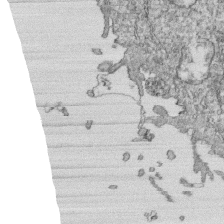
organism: Human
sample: HeLa cell HIV synapse